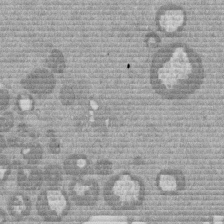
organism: Mouse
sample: Dividing mouse embryo 1 cell stage